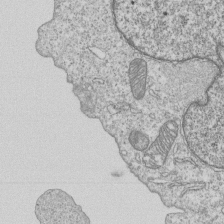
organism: Human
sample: MDA-MB-231 cells